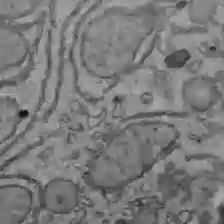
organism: C57BL Mouse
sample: Liver